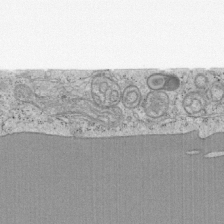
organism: Human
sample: HeLa cells